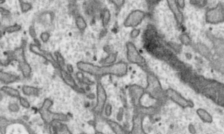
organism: Toxoplasma gondii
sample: Parasites in a vacuole inside a host cell